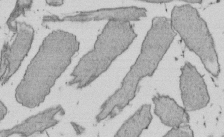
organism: E. coli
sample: Bacterial nucleoid